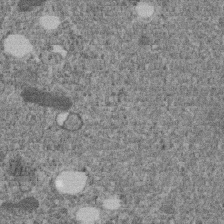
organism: C. elegans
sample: C. elegans embryo early stage